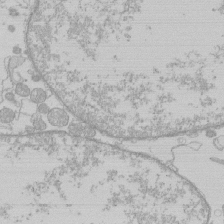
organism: Human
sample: Macrophage cells